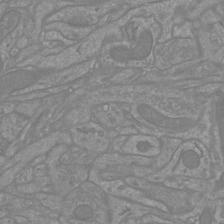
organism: Mouse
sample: Cortical neurons